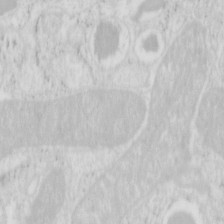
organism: Mouse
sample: Pancreas